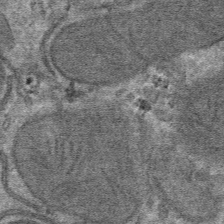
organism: Mouse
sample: Mouse hepatocytes